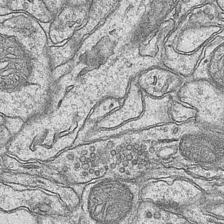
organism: Mouse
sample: CA1 Hippocampus